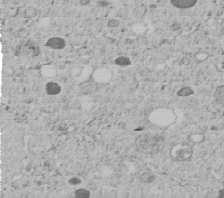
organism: C. elegans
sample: C. elegans embryo early stage